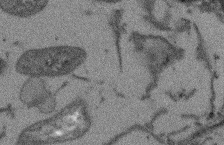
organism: Arabidopsis thaliana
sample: Root tip